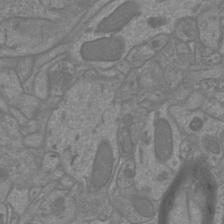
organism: Mouse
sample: Cortical neurons